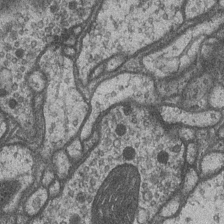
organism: Drosophila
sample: Optic medulla